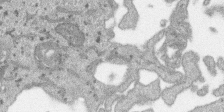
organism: Human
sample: Lung epithelial cells infected with SARS-CoV-2